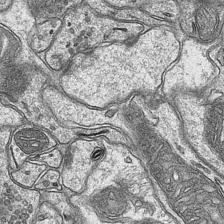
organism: Mouse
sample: CA1 Hippocampus